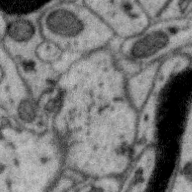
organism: Zebra finch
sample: Brain